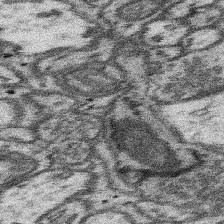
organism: Mouse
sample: Somatosensory cortex neuropil